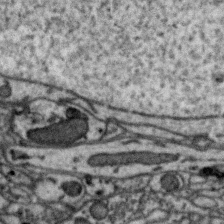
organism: Zebra finch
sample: Brain